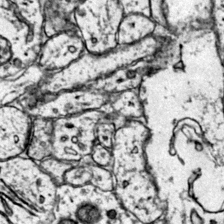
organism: Mouse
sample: Primary visual cortex